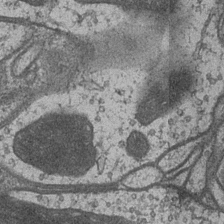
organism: Drosophila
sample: Optic medulla